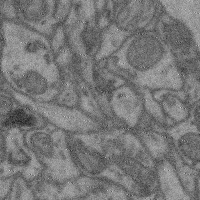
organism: Mouse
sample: Cerebral cortex